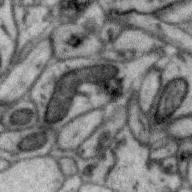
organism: Zebra finch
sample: Brain